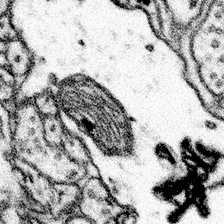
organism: Mouse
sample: Somatosensory cortex neuropil